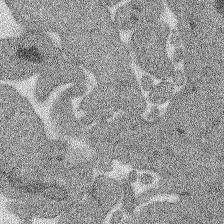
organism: Human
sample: HeLa cells